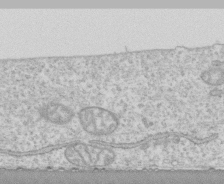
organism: Human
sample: CRL-1474